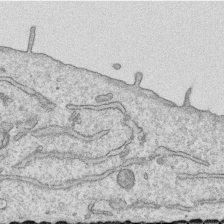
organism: Human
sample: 1205lu cells